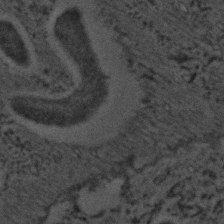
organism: C. elegans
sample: C. elegans embryo